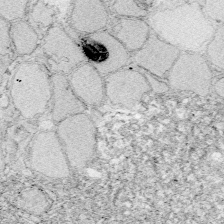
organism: Zebrafish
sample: Whole-Brain